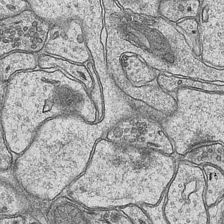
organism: Mouse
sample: CA1 Hippocampus